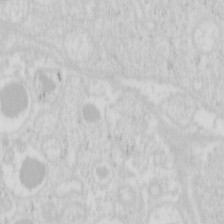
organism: Mouse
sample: Pancreas